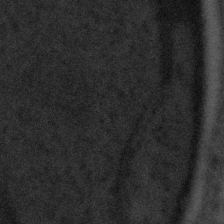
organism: Tuwongella immobilis